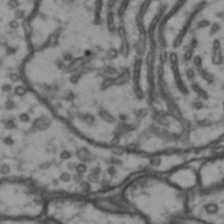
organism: Drosophila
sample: Brain